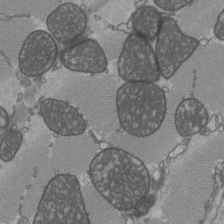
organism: C57BL Mouse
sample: Heart